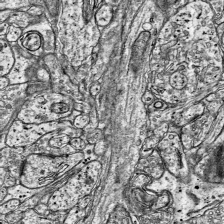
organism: Mouse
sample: Visual Cortex